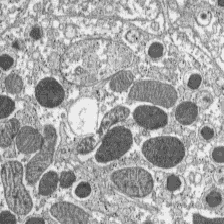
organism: C57BL Mouse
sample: Pancreatic islet